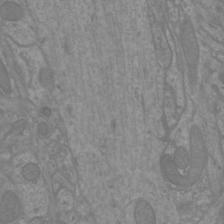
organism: Mouse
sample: Cortical neurons